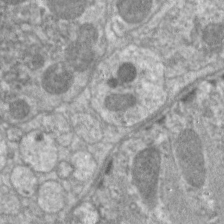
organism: C. elegans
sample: Pharynx